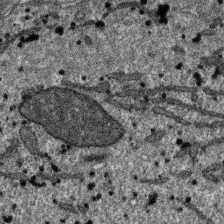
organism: Human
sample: Lung epithelial cells infected with SARS-CoV-2